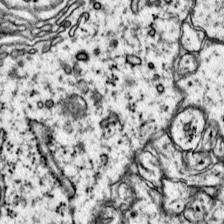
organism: Mouse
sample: Primary visual cortex